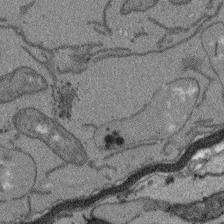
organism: Arabidopsis thaliana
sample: Root tip